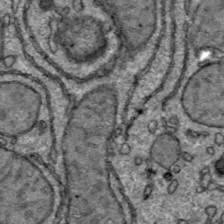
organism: C57BL Mouse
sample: Liver